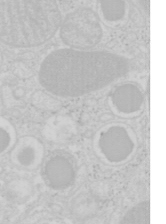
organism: Mouse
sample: Pancreas